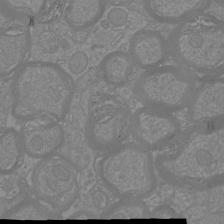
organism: Mouse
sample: Cortical neurons